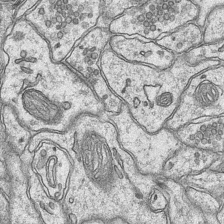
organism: Mouse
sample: CA1 Hippocampus